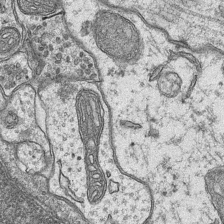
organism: Mouse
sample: CA1 Hippocampus